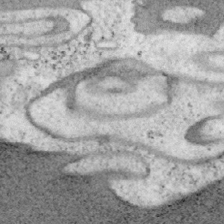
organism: Mouse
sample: OT-I killer T cells with ID8 ovarian cancer cells